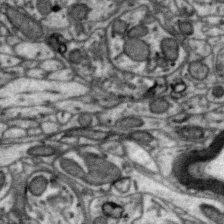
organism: Zebra finch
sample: Brain